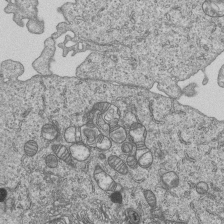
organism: Human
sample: MDA-MB-231 cells